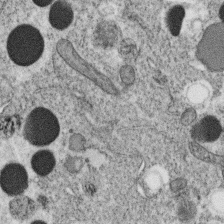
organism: C. elegans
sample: C. elegans oocyte; sperm cells